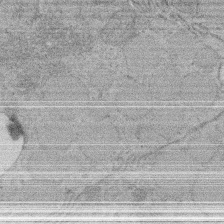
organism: Rat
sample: Salivary granule